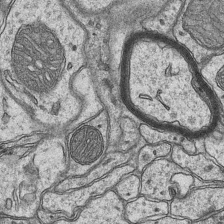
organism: Mouse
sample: CA1 Hippocampus